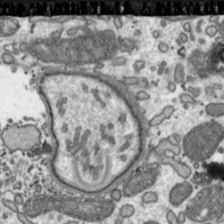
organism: Toxoplasma gondii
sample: Parasites in a vacuole inside a host cell